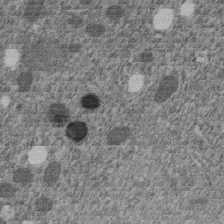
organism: C. elegans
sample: C. elegans embryo early stage